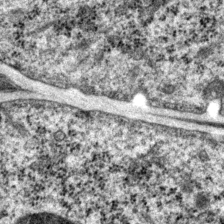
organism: P. pacificus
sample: Pharynx